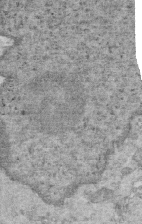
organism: Mouse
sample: Multiciliated cells